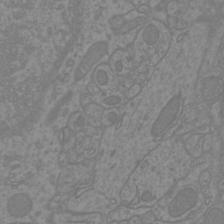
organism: Mouse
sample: Cortical neurons